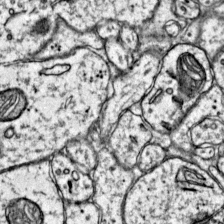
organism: Mouse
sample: Primary visual cortex